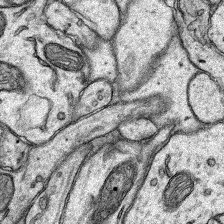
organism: Rat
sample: Hippocampus